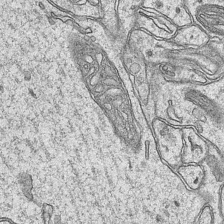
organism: Mouse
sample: CA1 Hippocampus